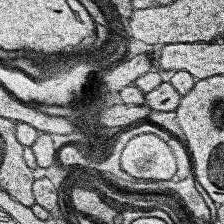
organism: Human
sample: Temporal Lobe